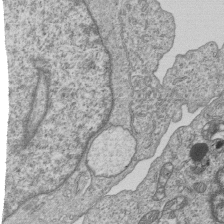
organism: Human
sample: MDA-MB-231 cells